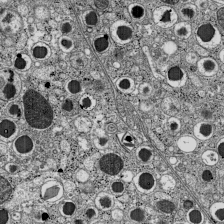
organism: C57BL Mouse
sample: Pancreatic islet